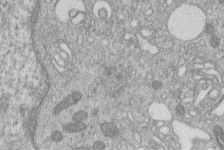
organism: Human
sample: Macrophage cells